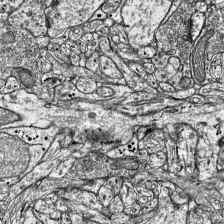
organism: Mouse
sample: Visual Cortex